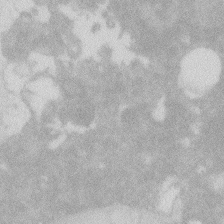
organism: Zebrafish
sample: Macrophage